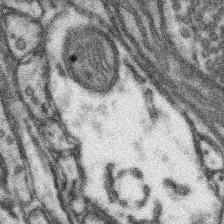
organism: Mouse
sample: Somatosensory cortex neuropil